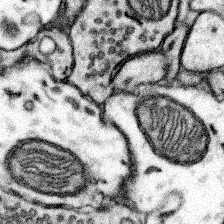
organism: Mouse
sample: Somatosensory cortex neuropil